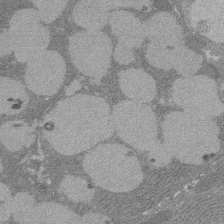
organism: Rat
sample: Salivary granule